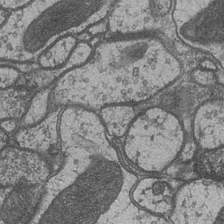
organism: Drosophila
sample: Optic medulla